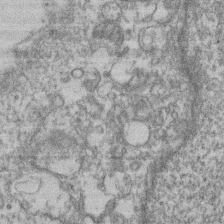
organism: Mouse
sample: T cell stromal cell synapse